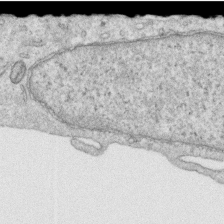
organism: Human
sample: Centriole in RPE cells